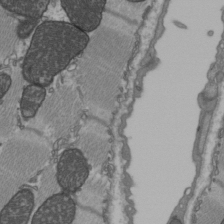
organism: C57BL Mouse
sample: Heart